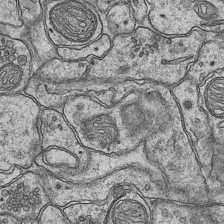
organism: Mouse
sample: CA1 Hippocampus